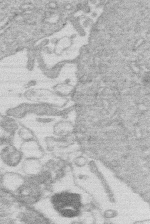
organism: Human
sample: Macrophage cells